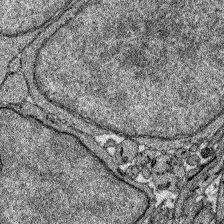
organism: Zebrafish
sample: Larval olfactory bulb